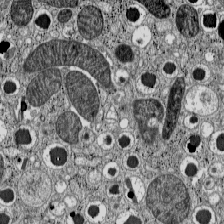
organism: C57BL Mouse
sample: Pancreatic islet